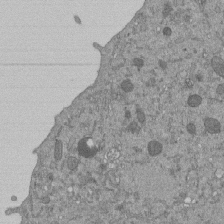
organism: Mouse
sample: ED-1 cell nuclei; centrioles